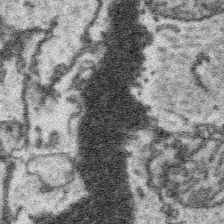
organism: Platynereis dumerilii